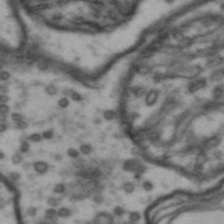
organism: Drosophila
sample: Brain